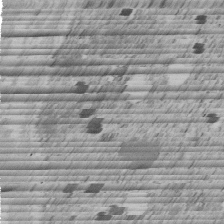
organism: C. elegans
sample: C. elegans embryo early stage